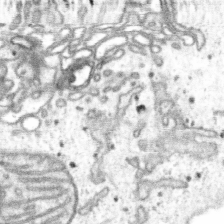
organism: Human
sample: HeLa cells